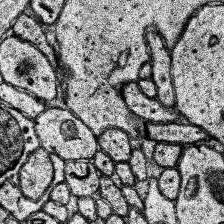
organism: Human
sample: Temporal Lobe